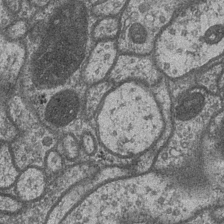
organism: Drosophila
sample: Optic medulla